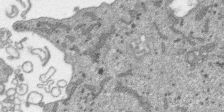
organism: Human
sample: Lung epithelial cells infected with SARS-CoV-2